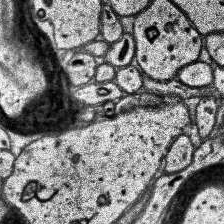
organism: Human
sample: Temporal Lobe